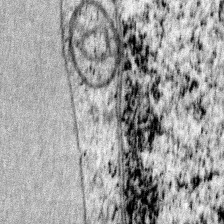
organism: Human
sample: HeLa cells